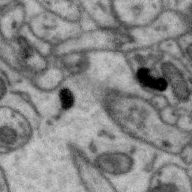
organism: Zebra finch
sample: Brain